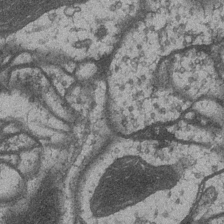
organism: Drosophila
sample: Optic medulla